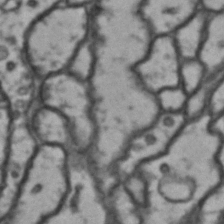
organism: Drosophila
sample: Brain